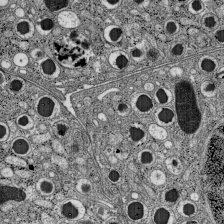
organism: C57BL Mouse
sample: Pancreatic islet